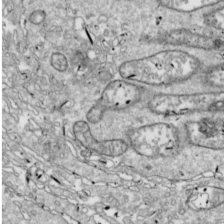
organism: Drosophila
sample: Cell division; meiosis; drosophila spermatocytes